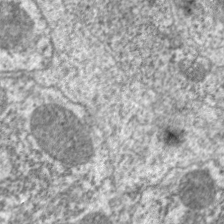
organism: C. elegans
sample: Pharynx